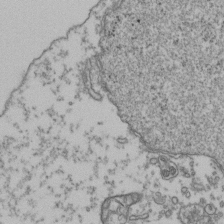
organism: Human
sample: Activated Jurkat CD4+ T cells